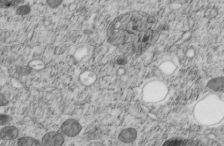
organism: C. elegans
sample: C. elegans embryo early stage